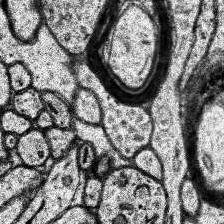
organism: Human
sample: Temporal Lobe